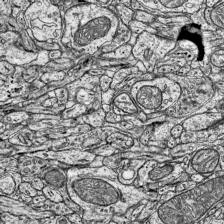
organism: Mouse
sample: Visual Cortex